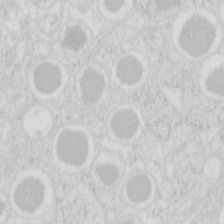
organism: Mouse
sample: Pancreas